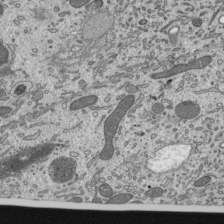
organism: Mouse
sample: Mouse epididymis efferent ductule cilia